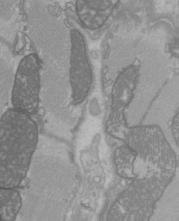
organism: C57BL Mouse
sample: Heart